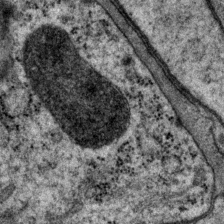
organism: P. pacificus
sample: Pharynx